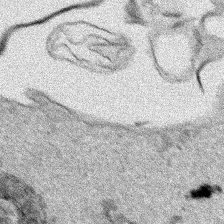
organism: Human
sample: Mitochondria in HCT116 cells